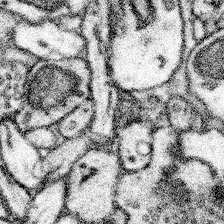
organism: Mouse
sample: Somatosensory cortex neuropil